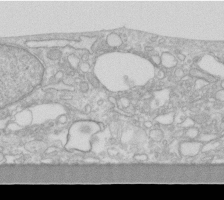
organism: Human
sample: Fibroblast cells